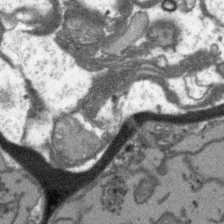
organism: Arabidopsis thaliana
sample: Root tip